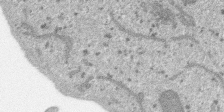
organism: Human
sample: Lung epithelial cells infected with SARS-CoV-2